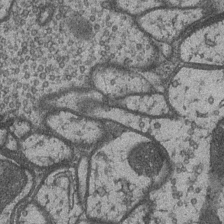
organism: Drosophila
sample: Optic medulla